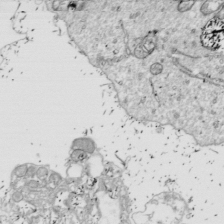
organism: Drosophila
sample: Cell division; meiosis; drosophila spermatocytes